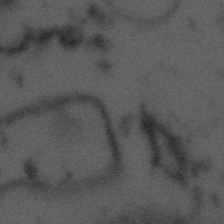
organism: Tuwongella immobilis